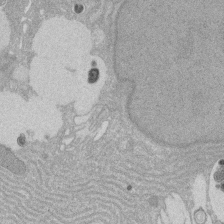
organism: Rat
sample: Salivary granule